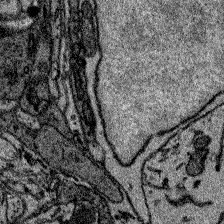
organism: Zebrafish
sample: Larval olfactory bulb